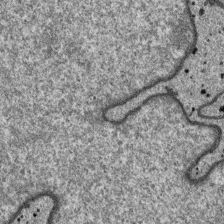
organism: Human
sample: Lung epithelial cells, uninfected (mock) control